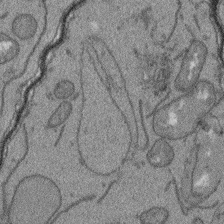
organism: Arabidopsis thaliana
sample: Root tip